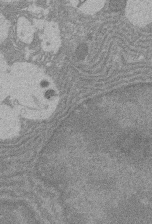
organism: Rat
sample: Salivary granule